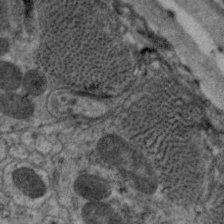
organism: C. elegans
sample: Pharynx